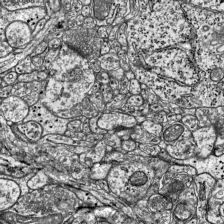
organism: Mouse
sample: Visual Cortex